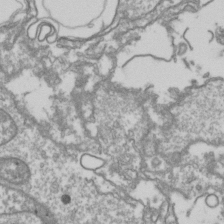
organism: Drosophila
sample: Cell division; meiosis; drosophila spermatocytes